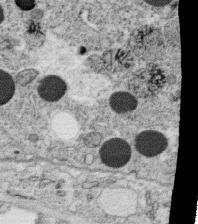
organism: C. elegans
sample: C. elegans oocyte; sperm cells